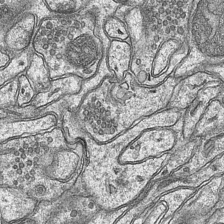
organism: Mouse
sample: CA1 Hippocampus